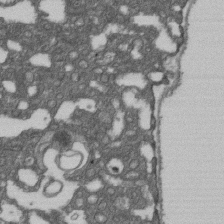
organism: Drosophila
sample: Nephrocyte